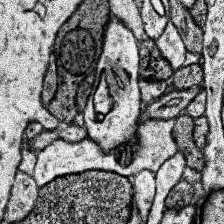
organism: Human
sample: Temporal Lobe